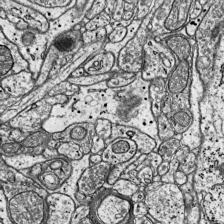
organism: Mouse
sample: Visual Cortex